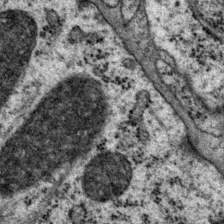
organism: P. pacificus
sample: Pharynx